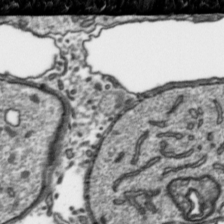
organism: Toxoplasma gondii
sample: Parasites in a vacuole inside a host cell